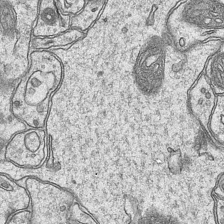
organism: Mouse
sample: CA1 Hippocampus